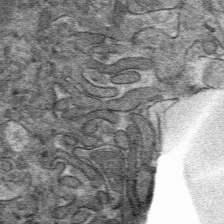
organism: Mouse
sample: Mouse hepatocytes